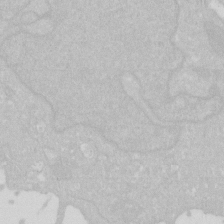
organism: Human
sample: HIV infected U937 cells